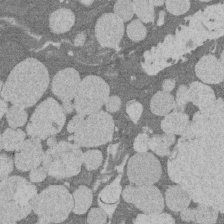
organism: Rat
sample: Salivary granule